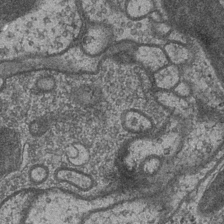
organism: Drosophila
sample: Optic medulla